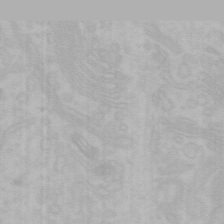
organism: Mouse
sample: Choroid plexus